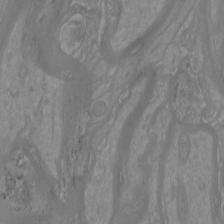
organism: Mouse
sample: Cortical neurons